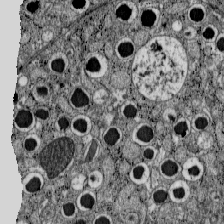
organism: C57BL Mouse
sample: Pancreatic islet